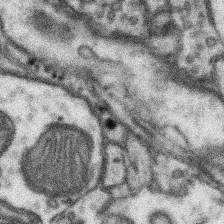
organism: Mouse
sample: Somatosensory cortex neuropil